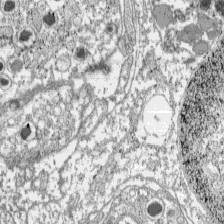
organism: C57BL Mouse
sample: Pancreatic islet